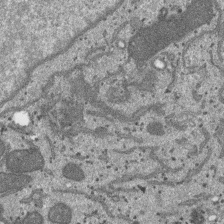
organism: Human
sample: Lung epithelial cells infected with SARS-CoV-2